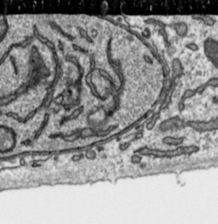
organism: Toxoplasma gondii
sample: Parasites in a vacuole inside a host cell